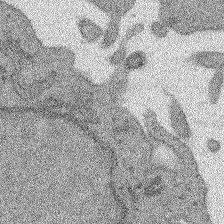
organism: Human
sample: HeLa cells